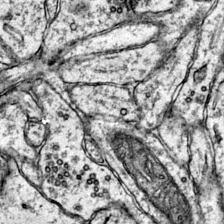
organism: Mouse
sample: Primary visual cortex